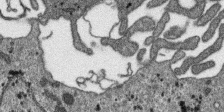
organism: Human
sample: Lung epithelial cells infected with SARS-CoV-2